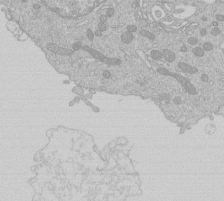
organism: Human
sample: Macrophage cells